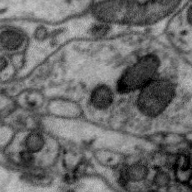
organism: Zebra finch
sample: Brain